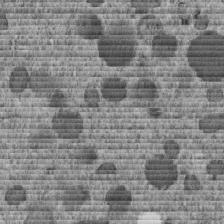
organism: C. elegans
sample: C. elegans embryo early stage